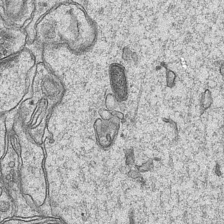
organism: Mouse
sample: CA1 Hippocampus